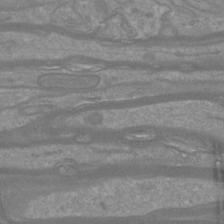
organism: Mouse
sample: Cortical neurons